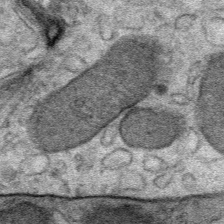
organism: Mouse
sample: Mouse Salivary gland